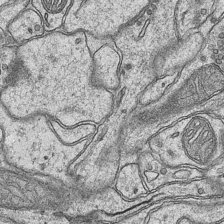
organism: Mouse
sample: CA1 Hippocampus